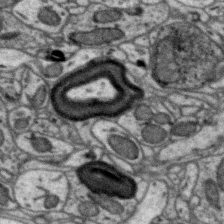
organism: Zebra finch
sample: Brain